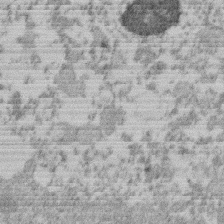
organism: Mouse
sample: Dividing mouse embryo 1 cell stage